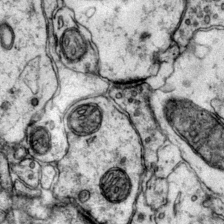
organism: Mouse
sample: Primary visual cortex